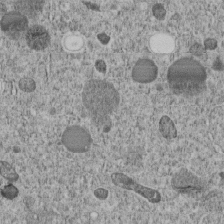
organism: C. elegans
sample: C. elegans embryo early stage